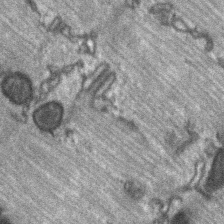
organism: C57BL Mouse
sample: Soleus